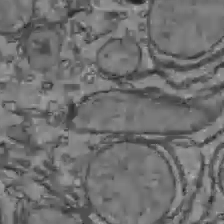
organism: C57BL Mouse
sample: Liver